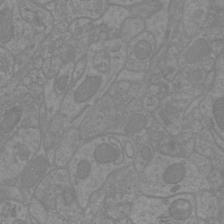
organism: Mouse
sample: Cortical neurons